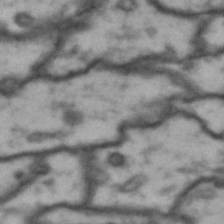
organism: Drosophila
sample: Brain